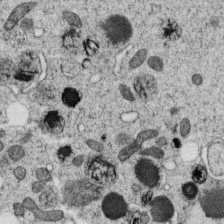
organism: C. elegans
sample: C. elegans oocyte; sperm cells